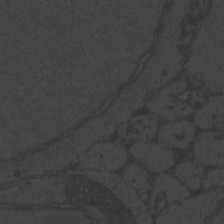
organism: Zebrafish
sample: Macrophage infected with Toxoplasma gondii